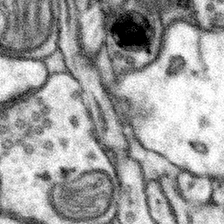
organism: Mouse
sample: Somatosensory cortex neuropil